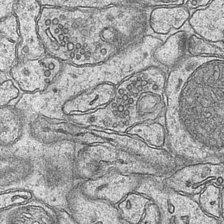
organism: Mouse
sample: CA1 Hippocampus